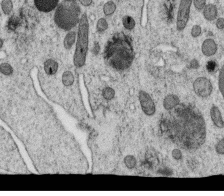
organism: C. elegans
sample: C. elegans oocyte; sperm cells